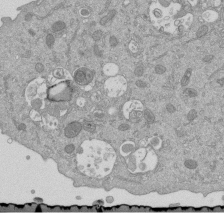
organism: Mouse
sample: ED-1 cell nuclei; centrioles